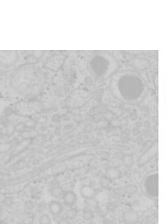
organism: Mouse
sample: Pancreas